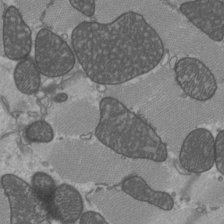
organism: C57BL Mouse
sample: Heart